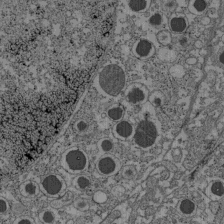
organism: C57BL Mouse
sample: Pancreatic islet